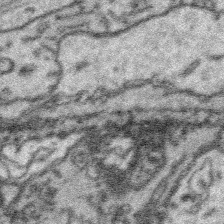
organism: Platynereis dumerilii